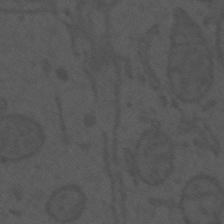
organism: Mouse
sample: Suprachiasmatic nucleus